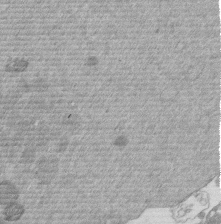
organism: Mouse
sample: Dividing mouse embryo 1 cell stage